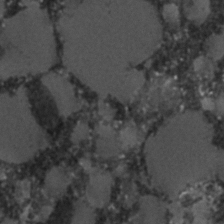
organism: C. elegans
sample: C. elegans embryo